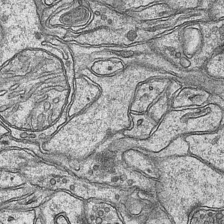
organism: Mouse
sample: CA1 Hippocampus